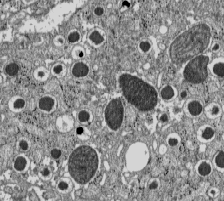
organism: C57BL Mouse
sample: Pancreatic islet